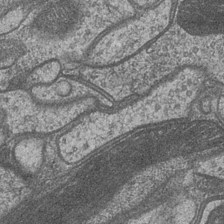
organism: Drosophila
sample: Optic medulla